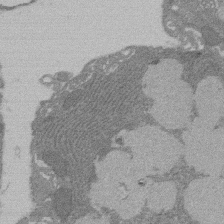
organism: Rat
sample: Salivary granule